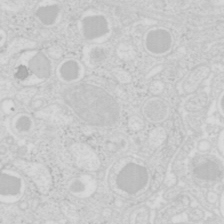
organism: Mouse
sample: Pancreas